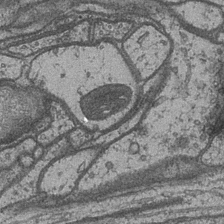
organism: Drosophila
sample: Optic medulla